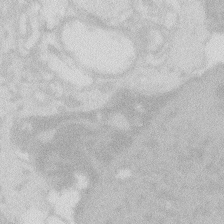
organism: Zebrafish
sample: Macrophage